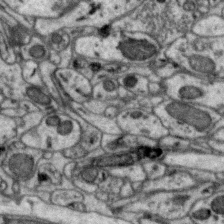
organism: Zebra finch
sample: Brain